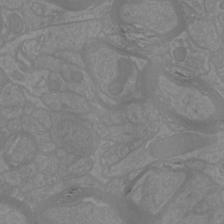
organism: Mouse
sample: Cortical neurons